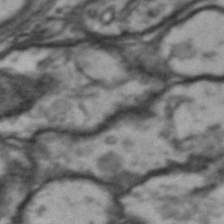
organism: Drosophila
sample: Brain